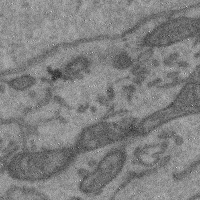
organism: Mouse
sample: Cerebral cortex